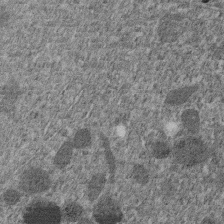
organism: C. elegans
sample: C. elegans embryo early stage